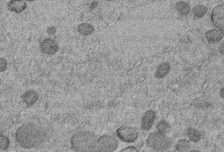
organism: C. elegans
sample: C. elegans embryo early stage